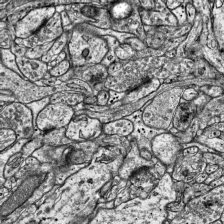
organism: Mouse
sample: Visual Cortex